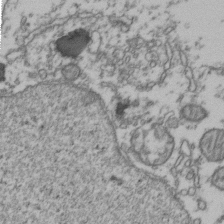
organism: Human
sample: Activated Jurkat CD4+ T cells